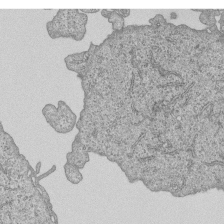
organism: Human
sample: MDA-MB-231 cells